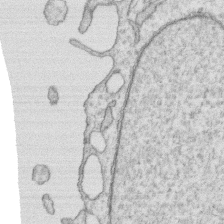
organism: Human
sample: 1205lu cells